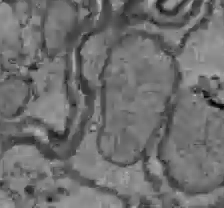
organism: C57BL Mouse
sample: Liver